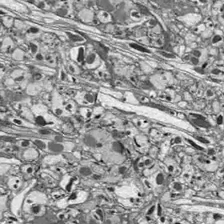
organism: Drosophila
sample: Optic lobe